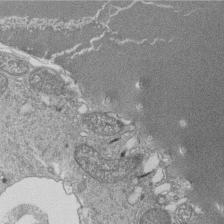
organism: Tetrahymena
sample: Cilia in tetrahymena